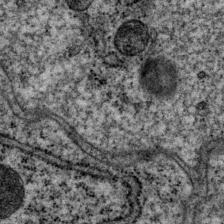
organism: P. pacificus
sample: Pharynx